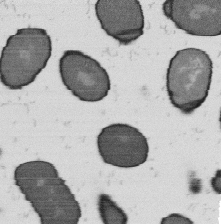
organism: B. subtilis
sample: Bacterial spore